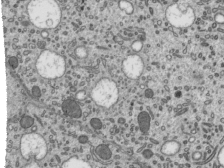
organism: Mouse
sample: Mouse epididymis efferent ductule cilia